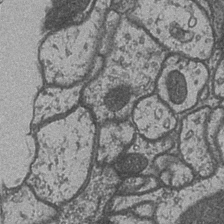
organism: Drosophila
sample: Optic medulla